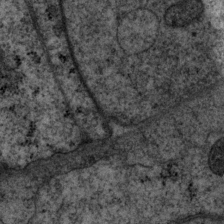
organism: P. pacificus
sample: Pharynx